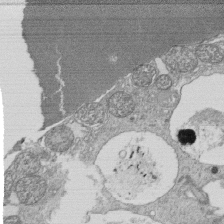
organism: Tetrahymena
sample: Cilia in tetrahymena